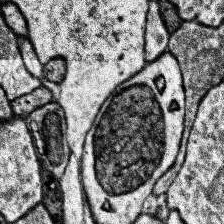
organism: Human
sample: Temporal Lobe